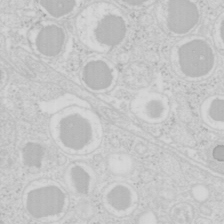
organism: Mouse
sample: Pancreas